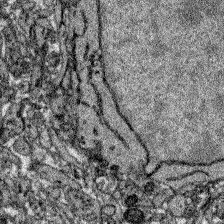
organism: Zebrafish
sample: Larval olfactory bulb